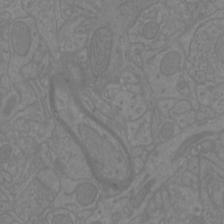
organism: Mouse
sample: Cortical neurons